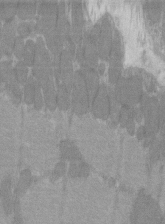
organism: C57BL Mouse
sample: Tibialis anterior muscle cell